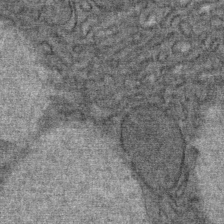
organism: Mouse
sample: Mouse Salivary gland